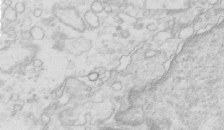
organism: Mouse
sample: Multiciliated cells